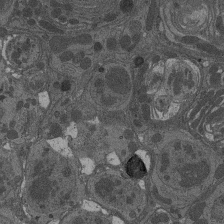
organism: Drosophila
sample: Antenna